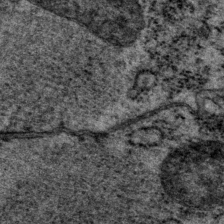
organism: P. pacificus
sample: Pharynx